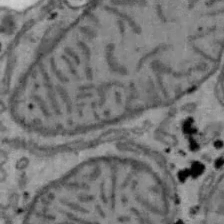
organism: Mouse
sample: Liver